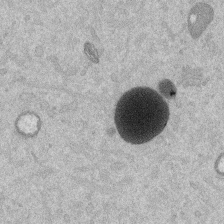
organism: Mouse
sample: Dividing mouse embryo 1 cell stage